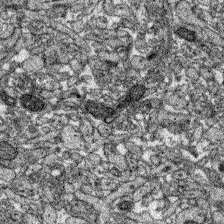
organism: Zebrafish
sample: Larval olfactory bulb